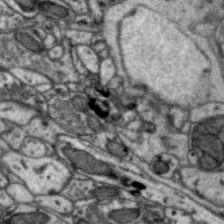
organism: Zebra finch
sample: Brain